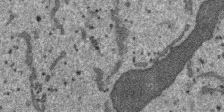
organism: Human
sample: Lung epithelial cells infected with SARS-CoV-2